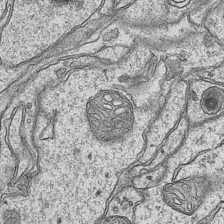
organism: Mouse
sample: CA1 Hippocampus